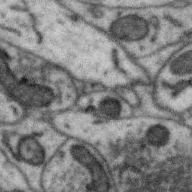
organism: Zebra finch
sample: Brain